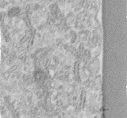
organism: Human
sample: Centriole in fibroblast cells